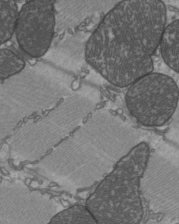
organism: C57BL Mouse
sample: Heart